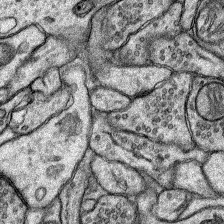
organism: Rat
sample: Hippocampus